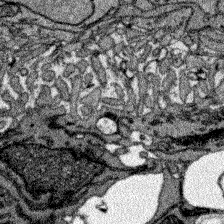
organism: Zebrafish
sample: Larval olfactory bulb